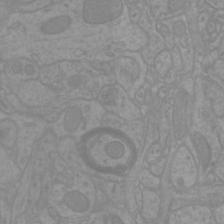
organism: Mouse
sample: Cortical neurons